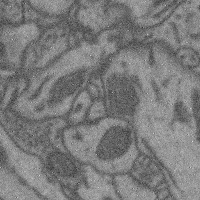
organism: Mouse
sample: Cerebral cortex